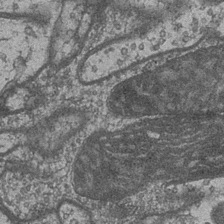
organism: Drosophila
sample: Optic medulla